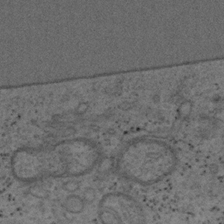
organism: Human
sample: HeLa cells